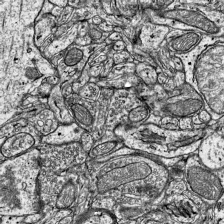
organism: Mouse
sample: Visual Cortex